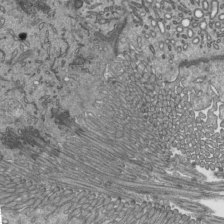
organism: Mouse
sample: Mouse epididymis efferent ductule cilia